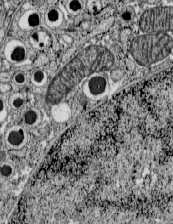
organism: C57BL Mouse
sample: Pancreatic islet